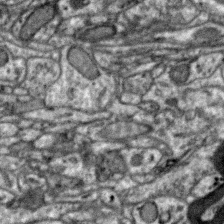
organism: Zebra finch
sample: Brain